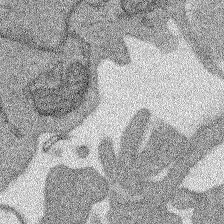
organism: Human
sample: HeLa cells